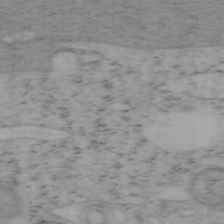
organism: Mouse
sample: OT-I killer T cells with ID8 ovarian cancer cells